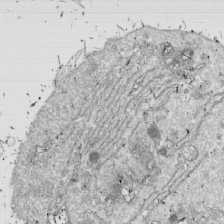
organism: Drosophila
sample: Cell division; meiosis; drosophila spermatocytes